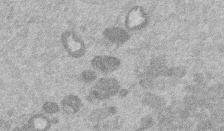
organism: Mouse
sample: Dividing mouse embryo 1 cell stage